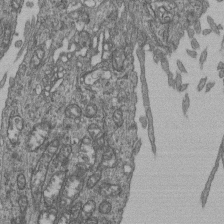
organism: Human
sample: Retinal organoid Rod and Cone cells